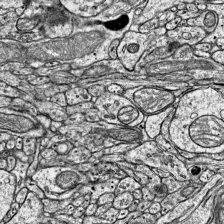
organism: Mouse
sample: Visual Cortex